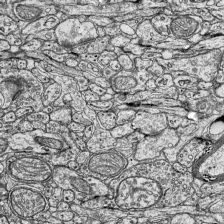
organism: Mouse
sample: Visual Cortex